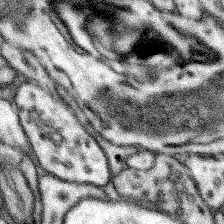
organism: Mouse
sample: Somatosensory cortex neuropil